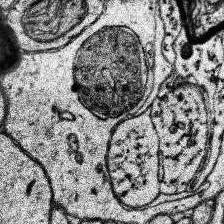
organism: Human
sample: Temporal Lobe